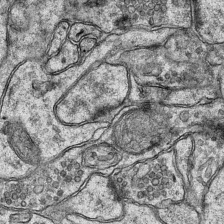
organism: Mouse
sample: CA1 Hippocampus